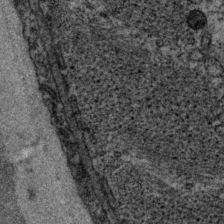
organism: P. pacificus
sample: Pharynx